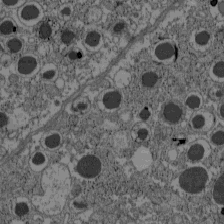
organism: C57BL Mouse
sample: Pancreatic islet